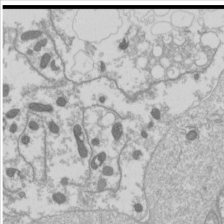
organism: Drosophila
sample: Cell division; meiosis; drosophila spermatocytes